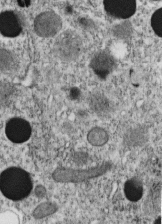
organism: C. elegans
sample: C. elegans embryo early stage